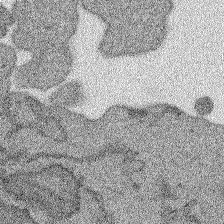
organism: Human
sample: HeLa cells